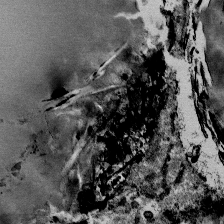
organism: Mouse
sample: Mouse Salivary gland